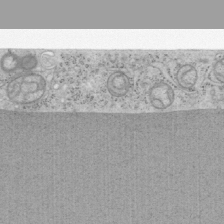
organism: Human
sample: HeLa cells